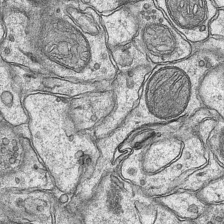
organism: Mouse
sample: CA1 Hippocampus